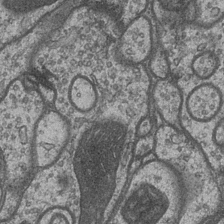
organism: Drosophila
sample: Optic medulla